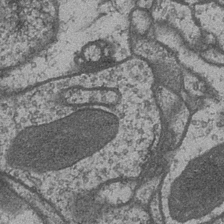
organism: Drosophila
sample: Optic medulla